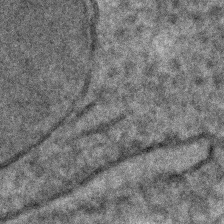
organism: C. elegans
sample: C. elegans embryo